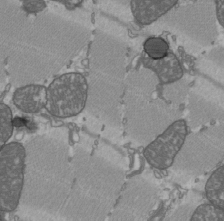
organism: C57BL Mouse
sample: Heart